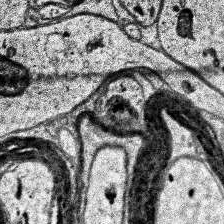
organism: Human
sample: Temporal Lobe